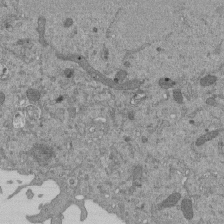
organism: Mouse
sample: ED-1 cell nuclei; centrioles